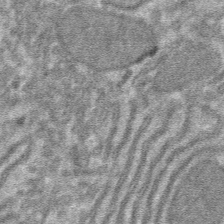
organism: Mouse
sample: Mouse hepatocytes